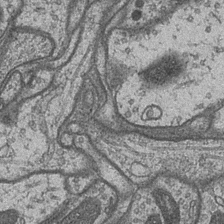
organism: Drosophila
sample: Optic medulla